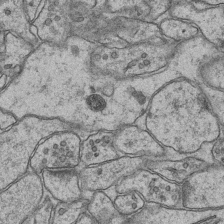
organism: Mouse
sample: CA1 Hippocampus